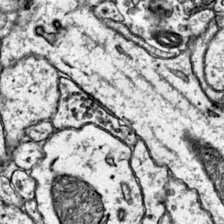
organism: Mouse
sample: Primary visual cortex